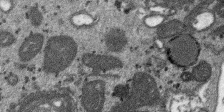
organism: Human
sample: Lung epithelial cells infected with SARS-CoV-2